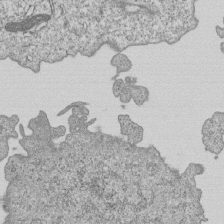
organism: Human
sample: MDA-MB-231 cells